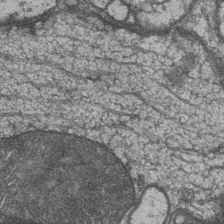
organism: Drosophila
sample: Optic medulla